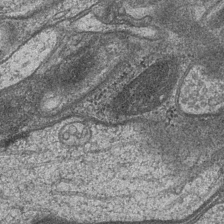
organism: Drosophila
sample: Optic medulla